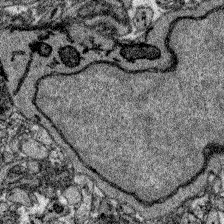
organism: Zebrafish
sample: Larval olfactory bulb